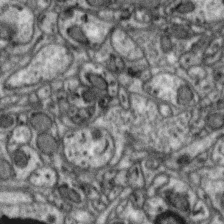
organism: Zebra finch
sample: Brain